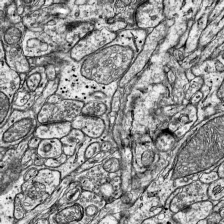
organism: Mouse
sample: Visual Cortex